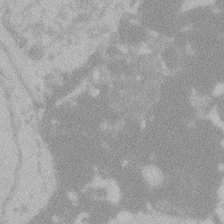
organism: Zebrafish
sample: Macrophage infected with Toxoplasma gondii